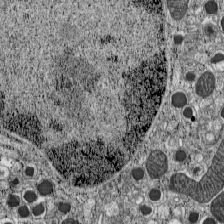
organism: C57BL Mouse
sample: Pancreatic islet